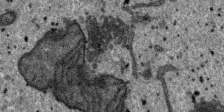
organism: Human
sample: Lung epithelial cells, uninfected (mock) control